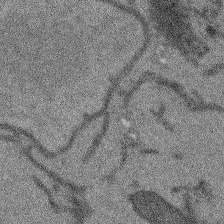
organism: Arabidopsis thaliana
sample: Root tip